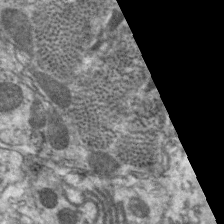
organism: C. elegans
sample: Pharynx